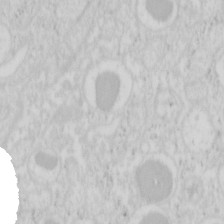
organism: Mouse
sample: Pancreas